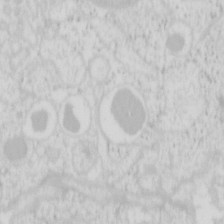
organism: Mouse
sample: Pancreas